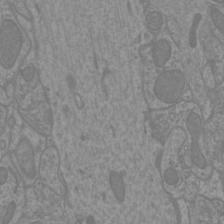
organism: Mouse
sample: Cortical neurons